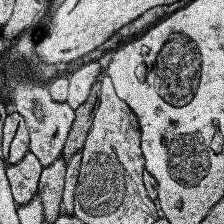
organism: Human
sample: Temporal Lobe